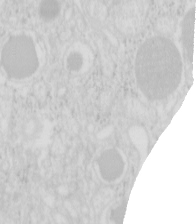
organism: Mouse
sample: Pancreas